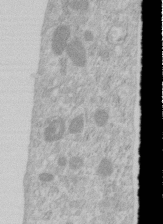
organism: Human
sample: Centriole in RPE cells